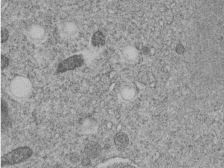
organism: C. elegans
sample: C. elegans embryo early stage